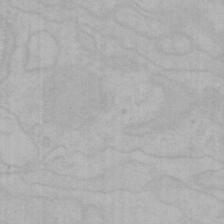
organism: Mouse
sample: Choroid plexus